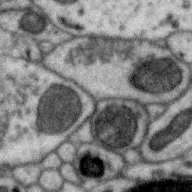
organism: Zebra finch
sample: Brain